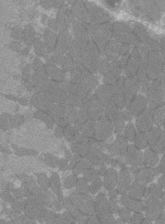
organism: C57BL Mouse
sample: Tibialis anterior muscle cell